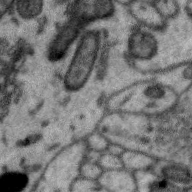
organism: Zebra finch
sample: Brain